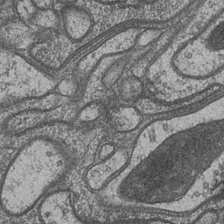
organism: Drosophila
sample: Optic medulla